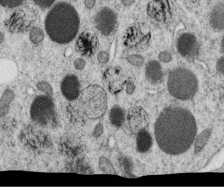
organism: C. elegans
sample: C. elegans oocyte; sperm cells